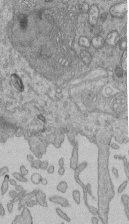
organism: Human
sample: Retinal organoid Rod and Cone cells